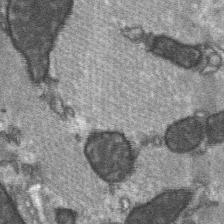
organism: C57BL Mouse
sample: Soleus